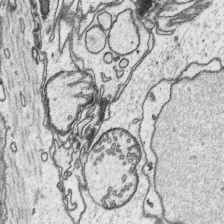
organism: Platynereis dumerilii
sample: Parapodia